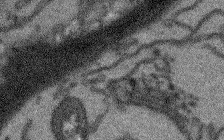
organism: Arabidopsis thaliana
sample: Root tip